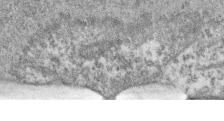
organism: Zebrafish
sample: Cilia; retinal pigment epithelium